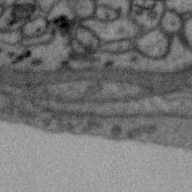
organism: Zebra finch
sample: Brain